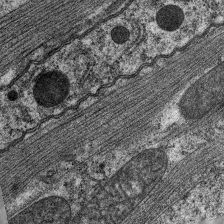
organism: C. elegans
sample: Pharynx